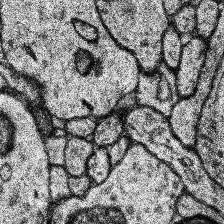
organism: Human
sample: Temporal Lobe